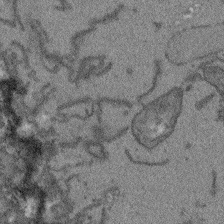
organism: Arabidopsis thaliana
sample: Root tip